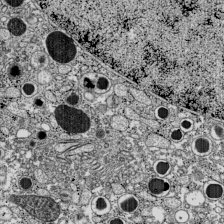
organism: C57BL Mouse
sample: Pancreatic islet